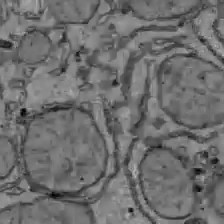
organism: C57BL Mouse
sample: Liver